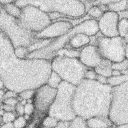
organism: Rabbit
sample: Retina